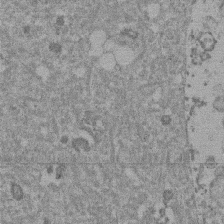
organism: Mouse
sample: Dividing mouse embryo 1 cell stage